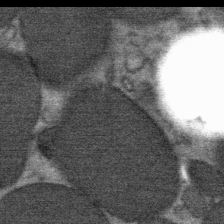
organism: Mouse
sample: Mouse Salivary gland